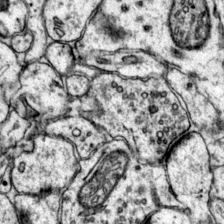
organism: Mouse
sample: Primary visual cortex